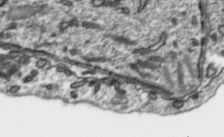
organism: Toxoplasma gondii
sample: Parasites in a vacuole inside a host cell